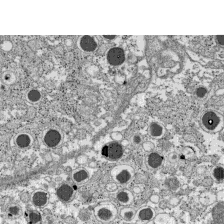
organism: C57BL Mouse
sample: Pancreatic islet